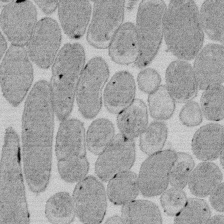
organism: E. coli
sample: Bacterial nucleoid